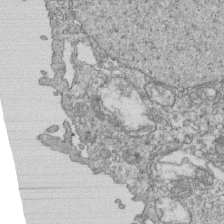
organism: Human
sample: HeLa cell HIV synapse